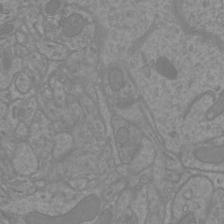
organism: Mouse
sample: Cortical neurons